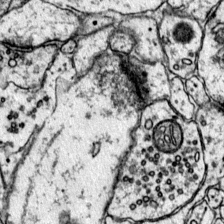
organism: Mouse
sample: Primary visual cortex